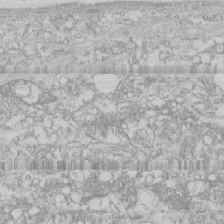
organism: Human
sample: CRL-1474